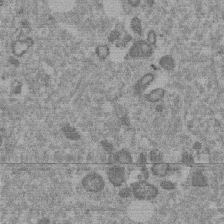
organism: Mouse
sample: Dividing mouse embryo 1 cell stage